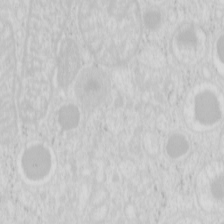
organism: Mouse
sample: Pancreas